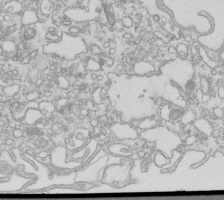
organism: Mouse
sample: Macrophages